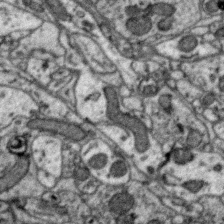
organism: Zebra finch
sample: Brain